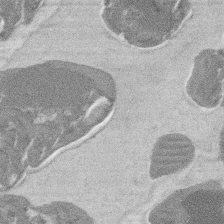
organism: Mouse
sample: T cell stromal cell synapse